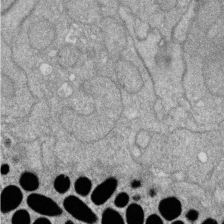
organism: Zebrafish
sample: Cilia; retinal pigment epithelium